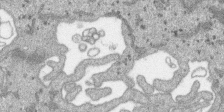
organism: Human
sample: Lung epithelial cells infected with SARS-CoV-2